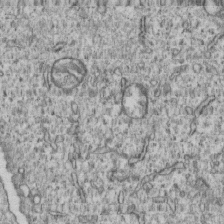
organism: Human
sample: MDA-MB-231 cells